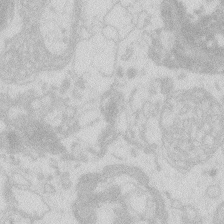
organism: Zebrafish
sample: Macrophage